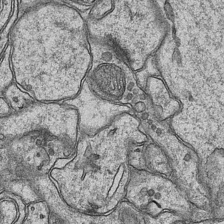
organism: Mouse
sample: CA1 Hippocampus